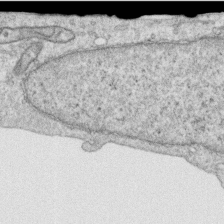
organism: Human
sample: Centriole in RPE cells